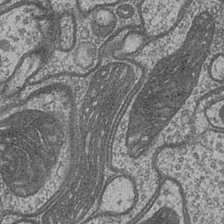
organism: Drosophila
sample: Optic medulla